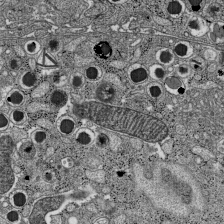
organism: C57BL Mouse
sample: Pancreatic islet